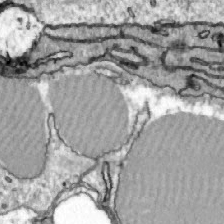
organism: Zebrafish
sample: Actinotrichia fibers